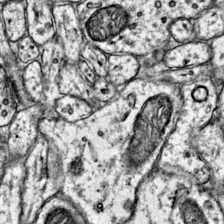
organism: Mouse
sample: Primary visual cortex